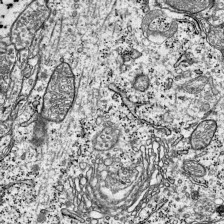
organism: Mouse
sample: Visual Cortex